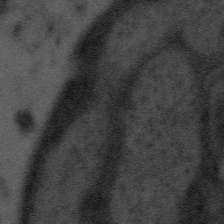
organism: Tuwongella immobilis